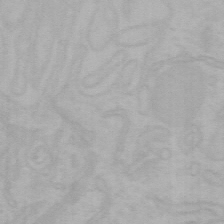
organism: Mouse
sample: Choroid plexus